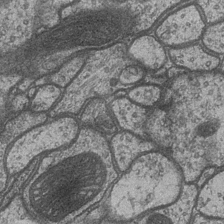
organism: Drosophila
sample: Optic medulla